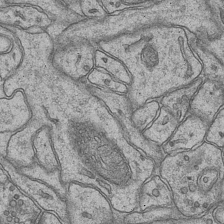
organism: Mouse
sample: CA1 Hippocampus